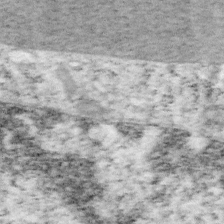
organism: Mouse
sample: OT-I killer T cells with ID8 ovarian cancer cells